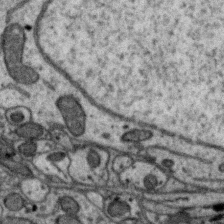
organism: Zebra finch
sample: Brain